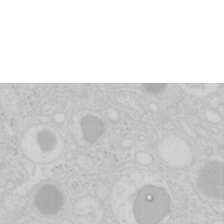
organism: Mouse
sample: Pancreas